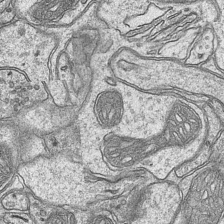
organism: Mouse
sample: CA1 Hippocampus